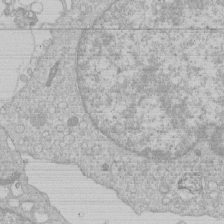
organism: Human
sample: Macrophage cells